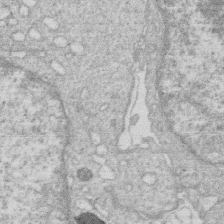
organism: Human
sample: Macrophage cells